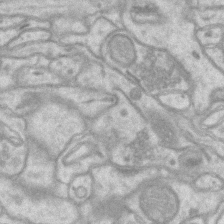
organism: Mouse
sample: CA1 Hippocampus